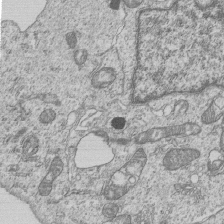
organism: Human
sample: MDA-MB-231 cells